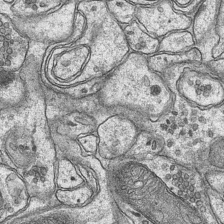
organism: Mouse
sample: CA1 Hippocampus